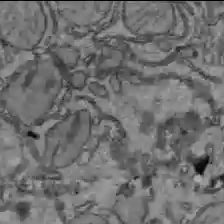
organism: C57BL Mouse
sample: Liver